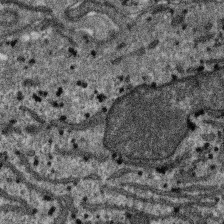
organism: Human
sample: Lung epithelial cells infected with SARS-CoV-2